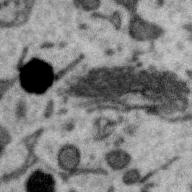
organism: Zebra finch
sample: Brain